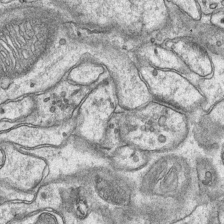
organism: Mouse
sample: CA1 Hippocampus